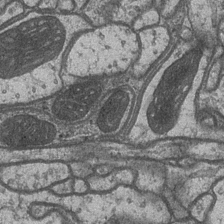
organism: Drosophila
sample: Optic medulla